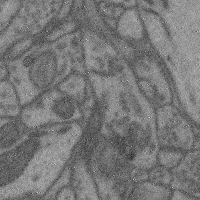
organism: Mouse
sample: Cerebral cortex